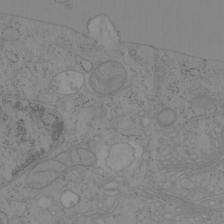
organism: Human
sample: HeLa cells